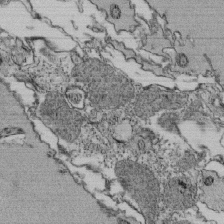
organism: Tetrahymena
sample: Cilia in tetrahymena